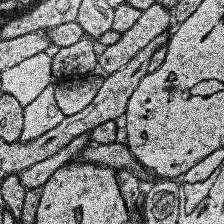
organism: Human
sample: Temporal Lobe